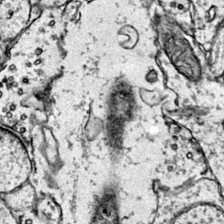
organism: Mouse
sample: Primary visual cortex